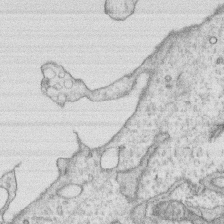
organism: Human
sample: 1205lu cells